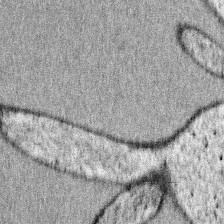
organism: Human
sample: HeLa cells